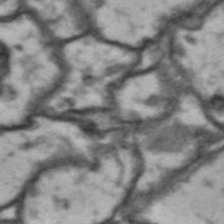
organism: Drosophila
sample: Brain